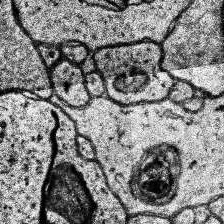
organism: Human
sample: Temporal Lobe